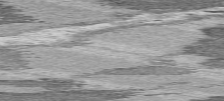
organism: C57BL Mouse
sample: Heart